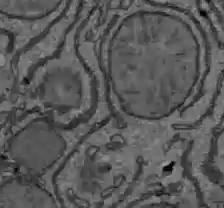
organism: C57BL Mouse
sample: Liver